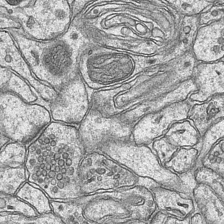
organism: Mouse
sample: CA1 Hippocampus